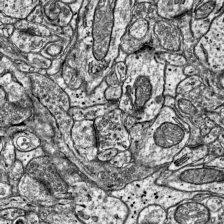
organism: Mouse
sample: Visual Cortex